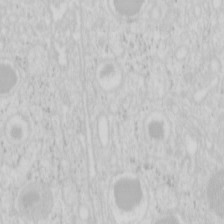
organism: Mouse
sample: Pancreas